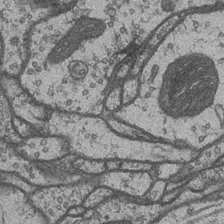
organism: Drosophila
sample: Optic medulla